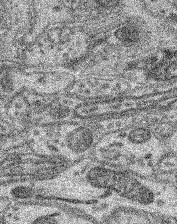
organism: Mouse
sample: Retina